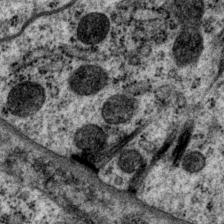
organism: P. pacificus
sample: Pharynx